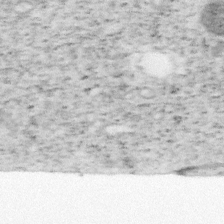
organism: Mouse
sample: OT-I killer T cells with ID8 ovarian cancer cells